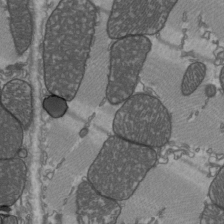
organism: C57BL Mouse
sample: Heart